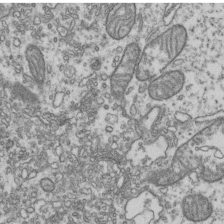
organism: Human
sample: Activated Jurkat CD4+ T cells